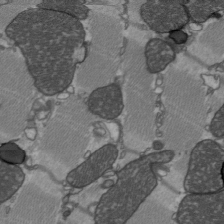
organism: C57BL Mouse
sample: Heart